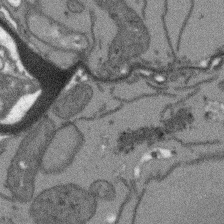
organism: Arabidopsis thaliana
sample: Root tip